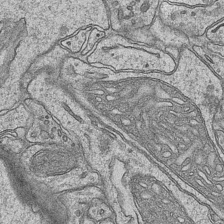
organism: Mouse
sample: CA1 Hippocampus